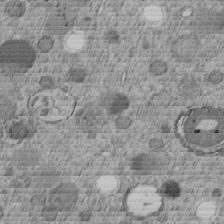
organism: C. elegans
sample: C. elegans embryo early stage